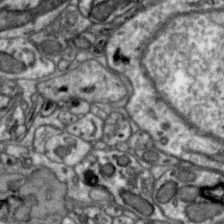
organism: Zebra finch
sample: Brain